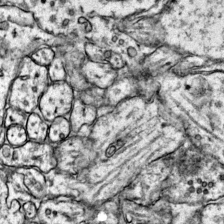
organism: Mouse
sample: Primary visual cortex